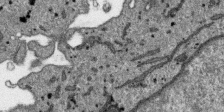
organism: Human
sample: Lung epithelial cells, uninfected (mock) control